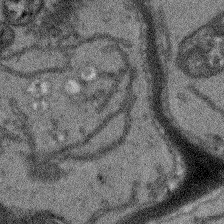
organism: Arabidopsis thaliana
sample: Root tip